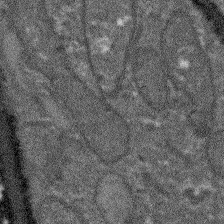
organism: Arabidopsis thaliana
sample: Root tip